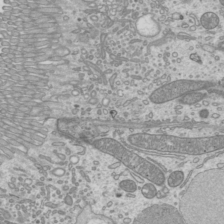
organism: Mouse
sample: Cilia; mouse epididymis